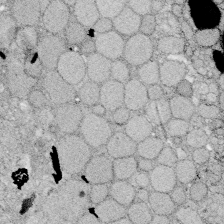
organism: Zebrafish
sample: Whole-Brain